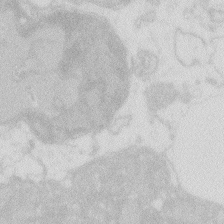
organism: Zebrafish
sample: Macrophage